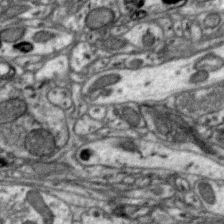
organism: Zebra finch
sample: Brain